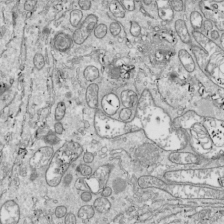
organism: Drosophila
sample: Cell division; meiosis; drosophila spermatocytes